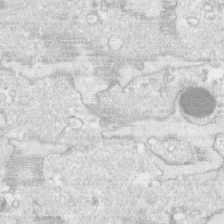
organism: Human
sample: CRL-1474